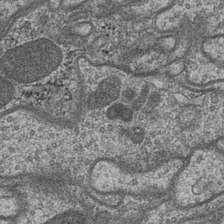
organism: Drosophila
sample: Optic medulla